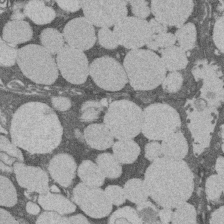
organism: Rat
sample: Salivary granule